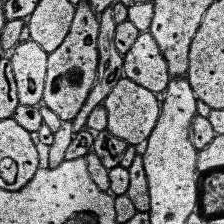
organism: Human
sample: Temporal Lobe